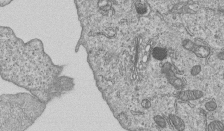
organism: Human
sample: MDA-MB-231 cells